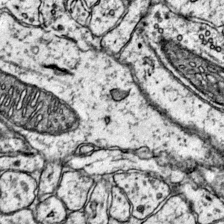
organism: Mouse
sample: Primary visual cortex